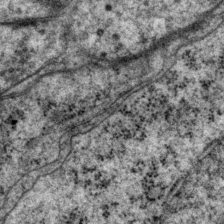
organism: P. pacificus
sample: Pharynx